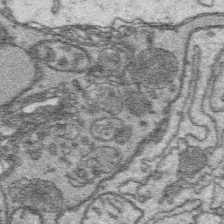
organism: Platynereis dumerilii